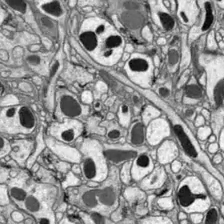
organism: Drosophila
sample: Optic lobe